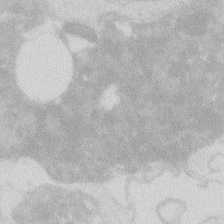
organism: Zebrafish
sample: Macrophage